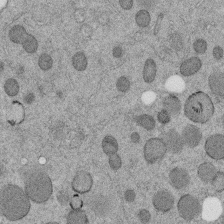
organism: C. elegans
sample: C. elegans embryo early stage